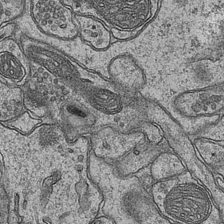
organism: Mouse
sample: CA1 Hippocampus